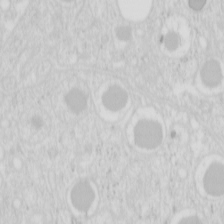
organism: Mouse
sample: Pancreas